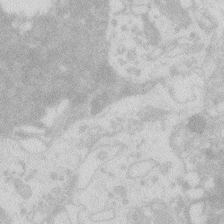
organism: Zebrafish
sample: Macrophage